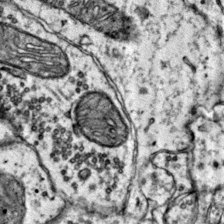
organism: Mouse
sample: Primary visual cortex